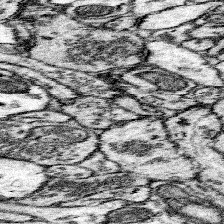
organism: Mouse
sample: Somatosensory cortex neuropil